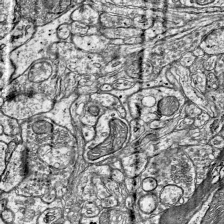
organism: Mouse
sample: Visual Cortex